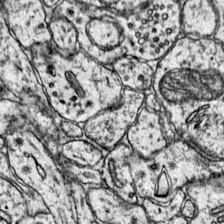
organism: Mouse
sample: Primary visual cortex